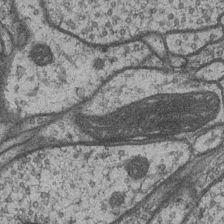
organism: Drosophila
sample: Optic medulla